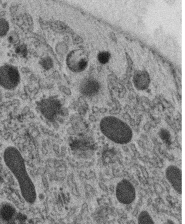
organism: C. elegans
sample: C. elegans oocyte; sperm cells